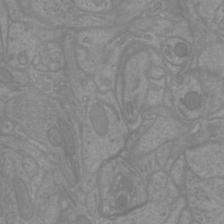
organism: Mouse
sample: Cortical neurons